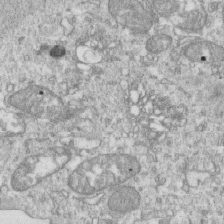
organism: Mouse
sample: Activated OT-1 CD8+ T cells